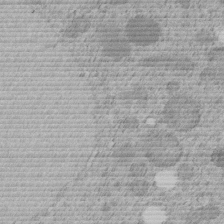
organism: C. elegans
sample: C. elegans embryo early stage